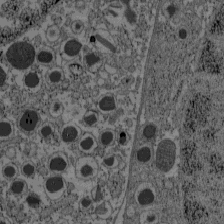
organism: C57BL Mouse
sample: Pancreatic islet